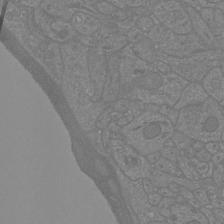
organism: Mouse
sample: Cortical neurons